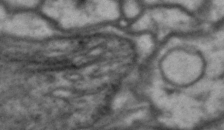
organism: Drosophila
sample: Brain